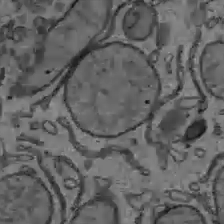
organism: C57BL Mouse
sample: Liver